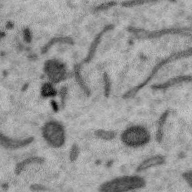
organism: Zebra finch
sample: Brain